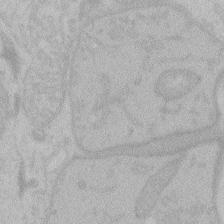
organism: Zebrafish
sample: Macrophage infected with Toxoplasma gondii